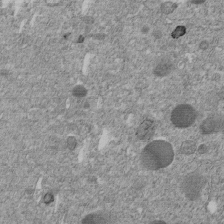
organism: C. elegans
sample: C. elegans embryo early stage